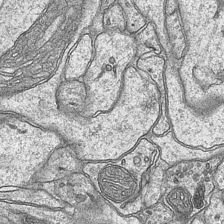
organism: Mouse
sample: CA1 Hippocampus